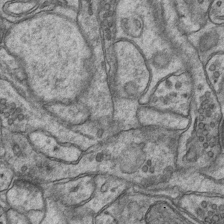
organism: Mouse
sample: CA1 Hippocampus